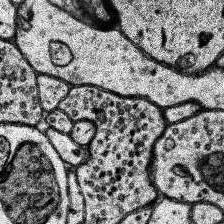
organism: Human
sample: Temporal Lobe